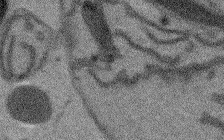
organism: Arabidopsis thaliana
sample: Root tip